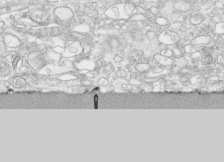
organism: Human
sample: CRL-1474